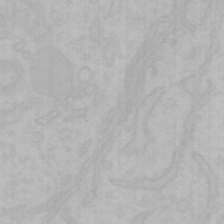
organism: Mouse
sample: Choroid plexus